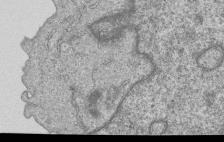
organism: Human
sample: MDA-MB-231 cells